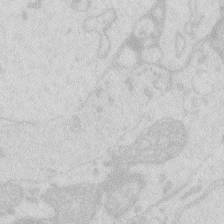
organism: Zebrafish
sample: Macrophage